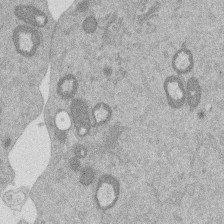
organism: Mouse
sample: Dividing mouse embryo 1 cell stage